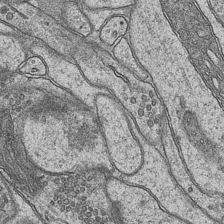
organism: Mouse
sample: CA1 Hippocampus